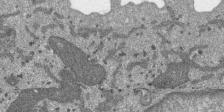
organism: Human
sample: Lung epithelial cells infected with SARS-CoV-2